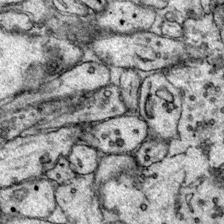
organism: Mouse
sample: Primary visual cortex